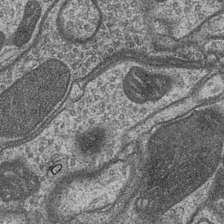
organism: Drosophila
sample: Optic medulla